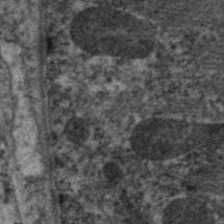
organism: C. elegans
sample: Pharynx